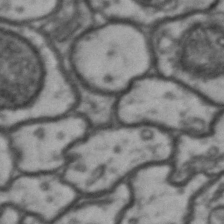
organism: Drosophila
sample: Brain